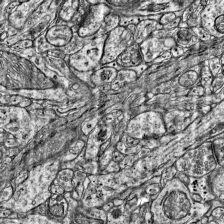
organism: Mouse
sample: Visual Cortex